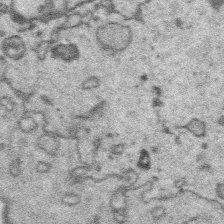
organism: Platynereis dumerilii